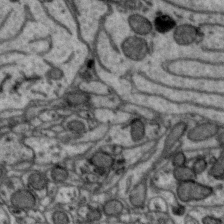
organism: Zebra finch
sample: Brain